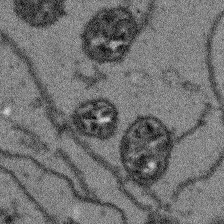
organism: Arabidopsis thaliana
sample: Root tip